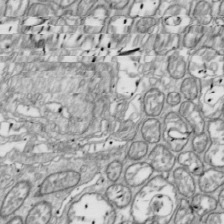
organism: Drosophila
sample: Cell division; meiosis; drosophila spermatocytes